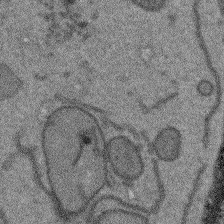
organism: Arabidopsis thaliana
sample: Root tip